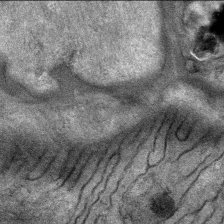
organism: Mouse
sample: Mouse Salivary gland